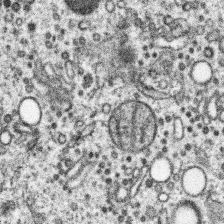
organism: Human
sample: HeLa cells